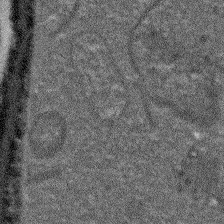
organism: Arabidopsis thaliana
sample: Root tip